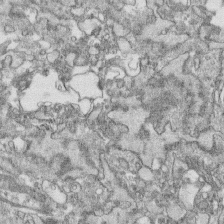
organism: Human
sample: CRL-1474